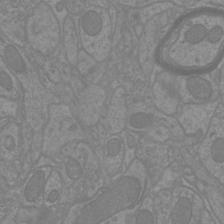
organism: Mouse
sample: Cortical neurons